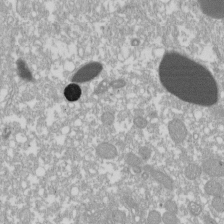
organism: Xenopus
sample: Cilia; centrioles in frog embryo cells